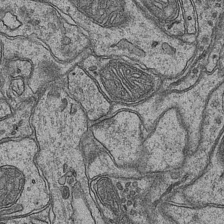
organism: Mouse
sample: CA1 Hippocampus